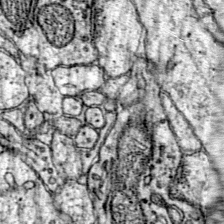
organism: Mouse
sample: Primary visual cortex